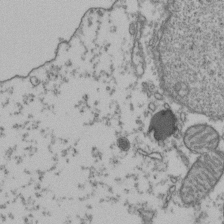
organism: Human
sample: Activated Jurkat CD4+ T cells